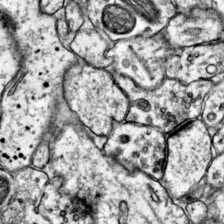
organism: Mouse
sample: Primary visual cortex